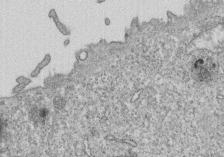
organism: Human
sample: HeLa cell HIV synapse